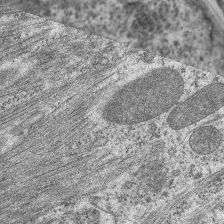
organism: C. elegans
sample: Pharynx